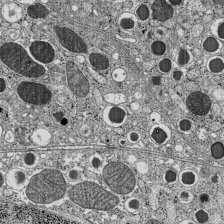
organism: C57BL Mouse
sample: Pancreatic islet